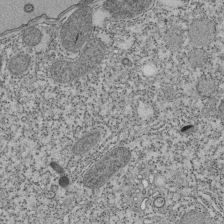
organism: Tetrahymena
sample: Cilia in tetrahymena